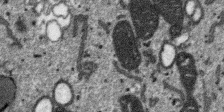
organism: Human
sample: Lung epithelial cells infected with SARS-CoV-2